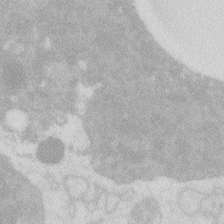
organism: Zebrafish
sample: Macrophage